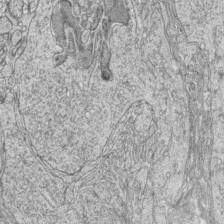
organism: Zebrafish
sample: synaptic ribbons in rod cells and cone cells